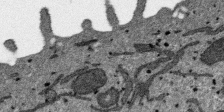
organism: Human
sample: Lung epithelial cells, uninfected (mock) control